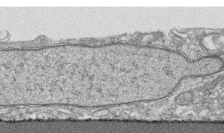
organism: Human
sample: CRL-1474